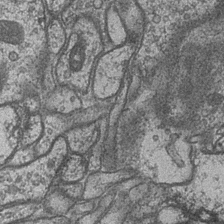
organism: Drosophila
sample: Optic medulla